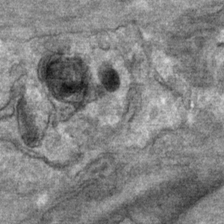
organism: Mouse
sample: Mouse Salivary gland